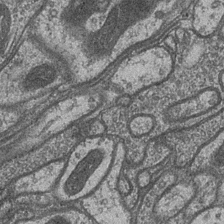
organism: Drosophila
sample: Optic medulla